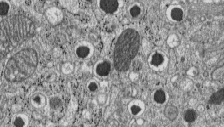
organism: C57BL Mouse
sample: Pancreatic islet